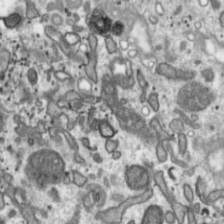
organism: Toxoplasma gondii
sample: Parasites in a vacuole inside a host cell